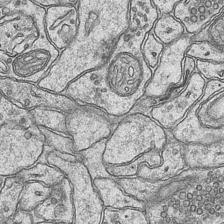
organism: Mouse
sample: CA1 Hippocampus